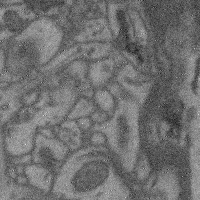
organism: Mouse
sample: Cerebral cortex